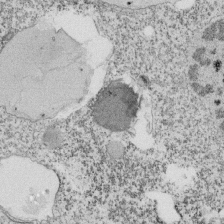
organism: Tetrahymena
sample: Cilia in tetrahymena